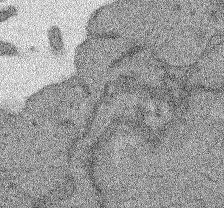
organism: Human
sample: HeLa cells